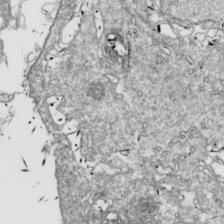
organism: Drosophila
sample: Cell division; meiosis; drosophila spermatocytes